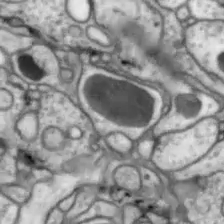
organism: Drosophila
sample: Optic lobe